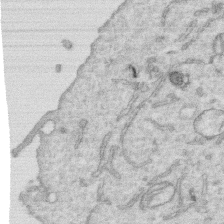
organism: Human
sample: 1205lu cells